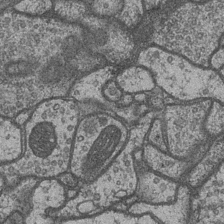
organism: Drosophila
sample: Optic medulla